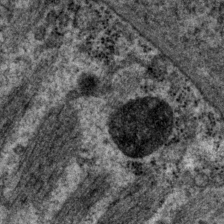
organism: P. pacificus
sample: Pharynx